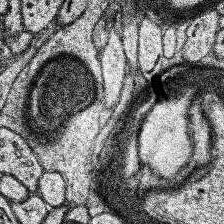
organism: Human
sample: Temporal Lobe